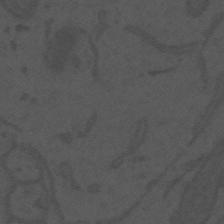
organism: Mouse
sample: Suprachiasmatic nucleus